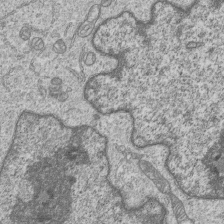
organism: Human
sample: MDA-MB-231 cells